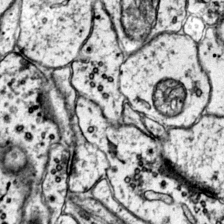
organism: Mouse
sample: Primary visual cortex